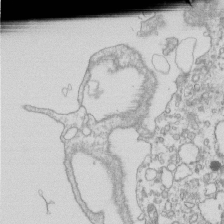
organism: Mouse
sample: Macrophages